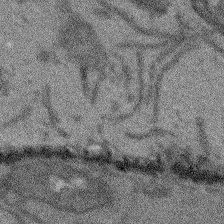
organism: Arabidopsis thaliana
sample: Root tip